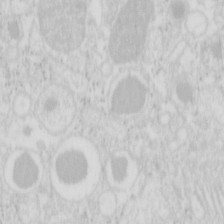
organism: Mouse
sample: Pancreas